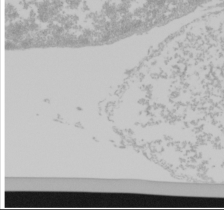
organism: Mouse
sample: Cancer cell death in ED-1 cells